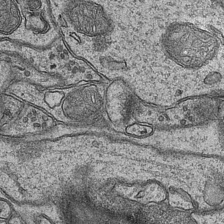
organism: Mouse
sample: CA1 Hippocampus